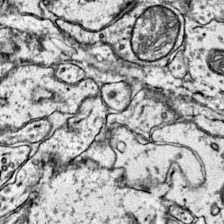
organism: Mouse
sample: Primary visual cortex